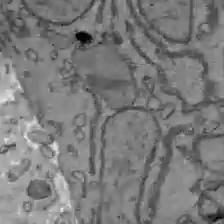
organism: C57BL Mouse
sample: Liver